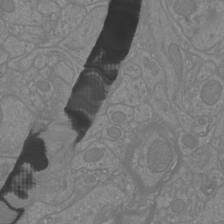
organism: Mouse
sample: Cortical neurons